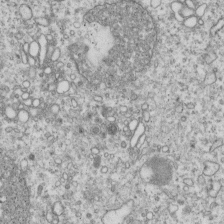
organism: Human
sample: MDA-MB-231 cells